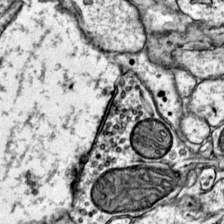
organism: Mouse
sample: Primary visual cortex